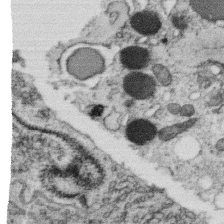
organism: C. elegans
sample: C. elegans oocyte; sperm cells